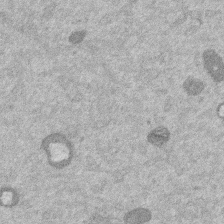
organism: Mouse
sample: Dividing mouse embryo 1 cell stage